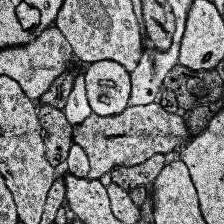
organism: Human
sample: Temporal Lobe